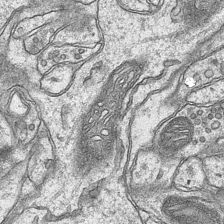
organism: Mouse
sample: CA1 Hippocampus